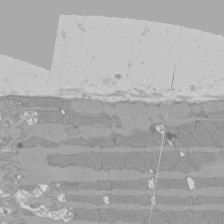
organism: Rat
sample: Left ventricle